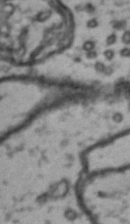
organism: Drosophila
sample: Brain